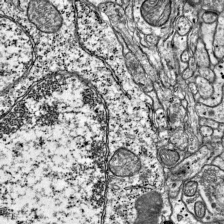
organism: Mouse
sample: Visual Cortex